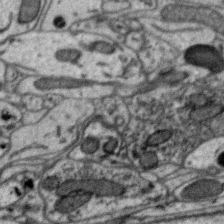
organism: Zebra finch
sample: Brain